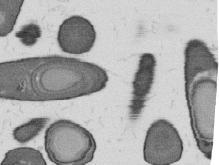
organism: B. subtilis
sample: Bacterial spore